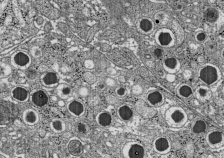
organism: C57BL Mouse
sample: Pancreatic islet